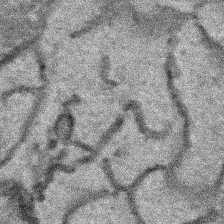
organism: Human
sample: Mitochondria in HCT116 cells